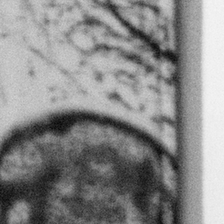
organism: Gemmata obscuriglobus